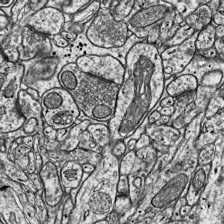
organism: Mouse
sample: Visual Cortex